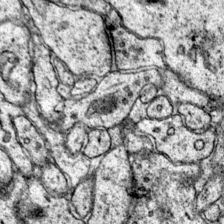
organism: Mouse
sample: Primary visual cortex